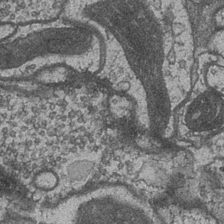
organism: Drosophila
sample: Optic medulla